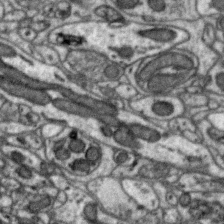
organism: Zebra finch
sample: Brain